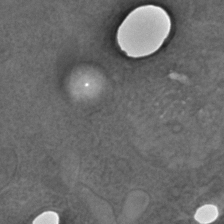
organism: C. elegans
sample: C. elegans embryo